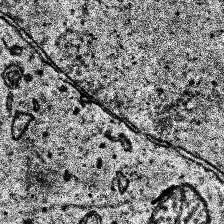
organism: Human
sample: Temporal Lobe